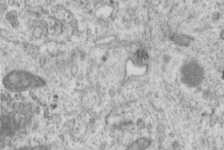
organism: Human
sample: Centriole in RPE cells